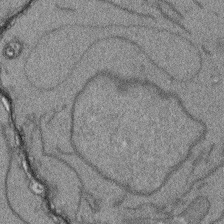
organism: Arabidopsis thaliana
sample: Root tip